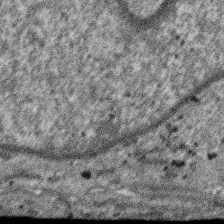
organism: Human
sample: Lung epithelial cells infected with SARS-CoV-2